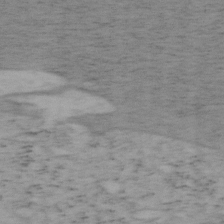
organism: Mouse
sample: OT-I killer T cells with ID8 ovarian cancer cells